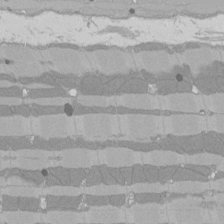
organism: Rat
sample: Left ventricle